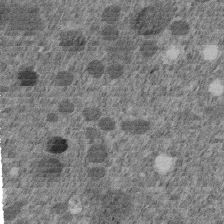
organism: C. elegans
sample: C. elegans embryo early stage